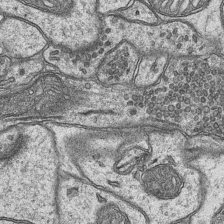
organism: Mouse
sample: CA1 Hippocampus